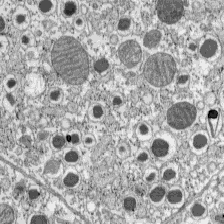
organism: C57BL Mouse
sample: Pancreatic islet